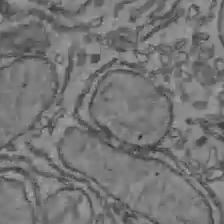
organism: C57BL Mouse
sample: Liver